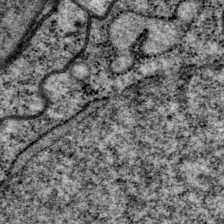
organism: P. pacificus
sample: Pharynx